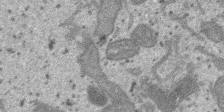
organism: Human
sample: Lung epithelial cells infected with SARS-CoV-2